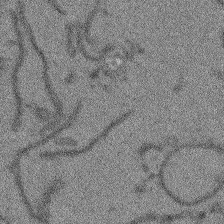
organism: Arabidopsis thaliana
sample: Root tip